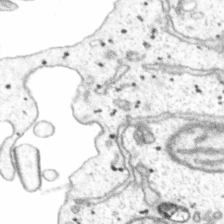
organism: Human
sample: HeLa cells